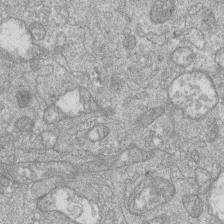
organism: Human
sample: HeLa cell HIV synapse